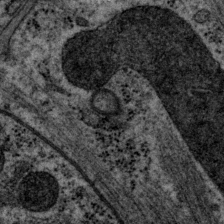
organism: P. pacificus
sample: Pharynx